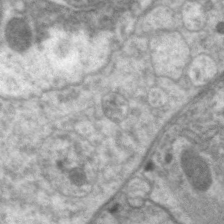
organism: C. elegans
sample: Pharynx